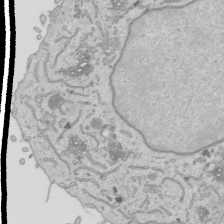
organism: Human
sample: Mitochondria in HCT116 cells